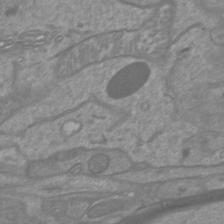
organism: Mouse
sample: Cortical neurons